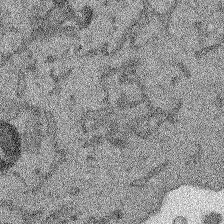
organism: Human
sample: HeLa cells